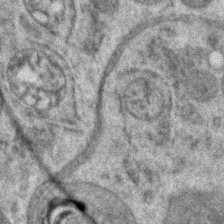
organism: Zebrafish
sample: Zebrafish embryo